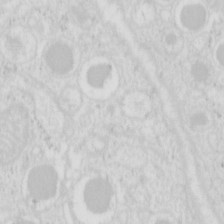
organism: Mouse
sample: Pancreas